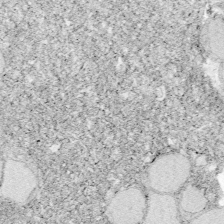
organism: Zebrafish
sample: Whole-Brain